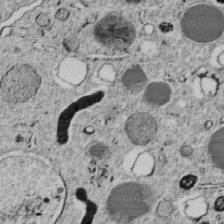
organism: C. elegans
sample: C. elegans embryo early stage